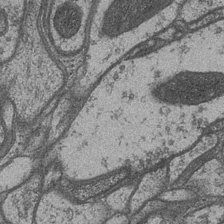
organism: Drosophila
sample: Optic medulla